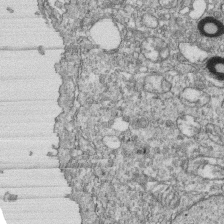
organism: Human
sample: HeLa cell HIV synapse